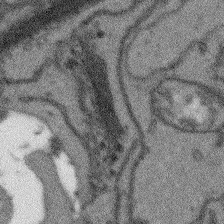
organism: Arabidopsis thaliana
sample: Root tip